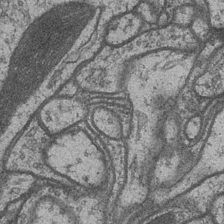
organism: Drosophila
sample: Optic medulla